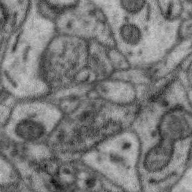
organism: Zebra finch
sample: Brain